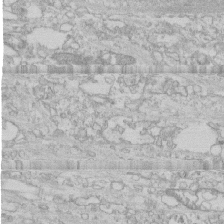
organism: Human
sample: CRL-1474